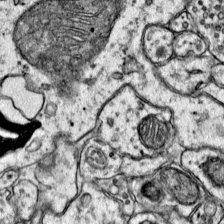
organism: Mouse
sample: Primary visual cortex